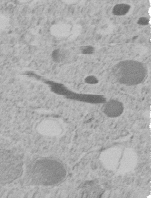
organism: C. elegans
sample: C. elegans embryo early stage